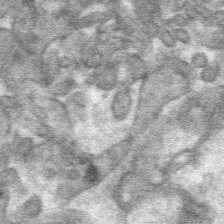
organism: Mouse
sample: Mouse hepatocytes